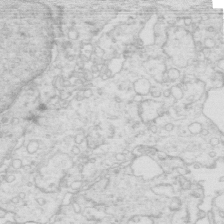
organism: Mouse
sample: Multiciliated cells